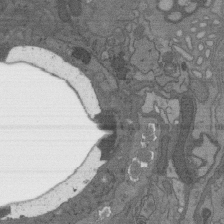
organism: C. elegans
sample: AFD neurons C. elegans